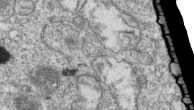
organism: Human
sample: HeLa cell HIV synapse